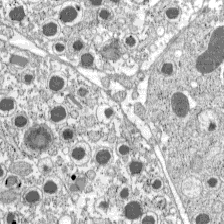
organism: C57BL Mouse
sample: Pancreatic islet